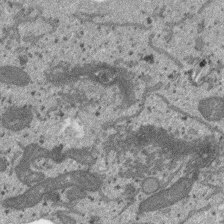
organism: Human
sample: Lung epithelial cells infected with SARS-CoV-2